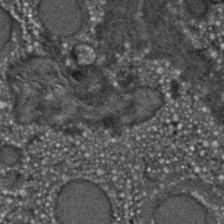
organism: C. elegans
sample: C. elegans embryo